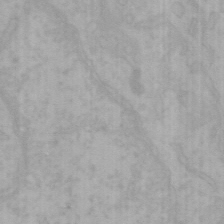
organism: Mouse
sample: Choroid plexus